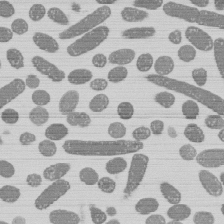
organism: E. coli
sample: Bacterial nucleoid